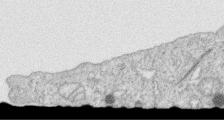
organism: Human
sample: HeLa cell HIV synapse